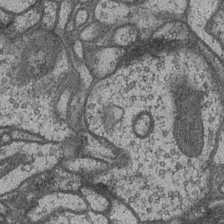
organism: Drosophila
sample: Optic medulla